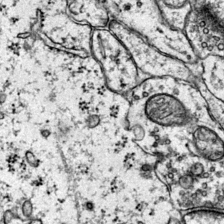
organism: Mouse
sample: Primary visual cortex